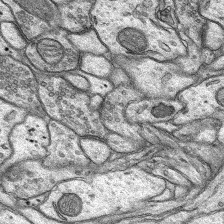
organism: Rat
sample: Hippocampus